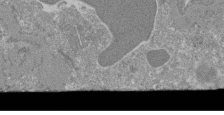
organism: Mouse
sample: Glomerulus